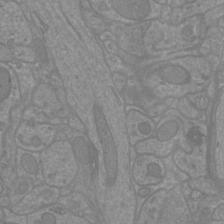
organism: Mouse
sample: Cortical neurons